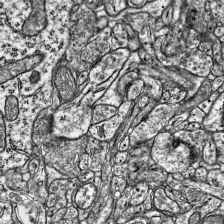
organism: Mouse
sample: Visual Cortex